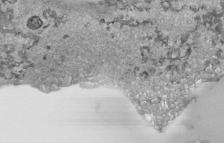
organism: Human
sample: Mitochondria in HCT116 cells